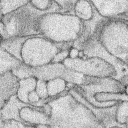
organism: Rabbit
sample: Retina